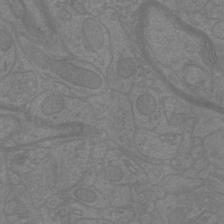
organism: Mouse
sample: Cortical neurons